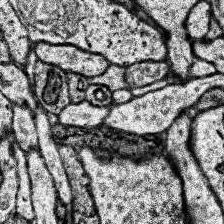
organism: Human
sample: Temporal Lobe